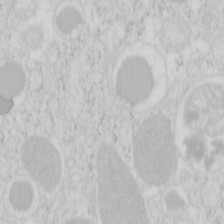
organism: Mouse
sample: Pancreas